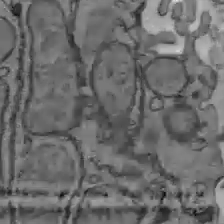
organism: C57BL Mouse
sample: Liver